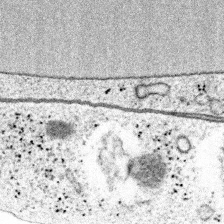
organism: Human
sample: HeLa cells